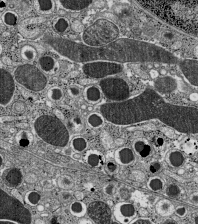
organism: C57BL Mouse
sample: Pancreatic islet